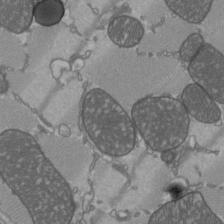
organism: C57BL Mouse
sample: Heart